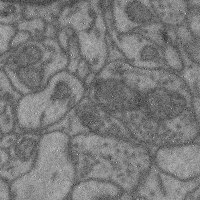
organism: Mouse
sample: Cerebral cortex